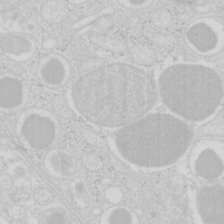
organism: Mouse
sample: Pancreas